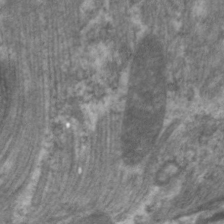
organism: C. elegans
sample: Pharynx